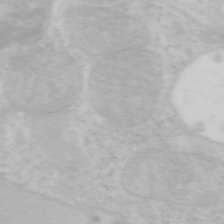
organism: Mouse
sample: OT-I killer T cells with ID8 ovarian cancer cells